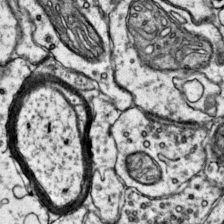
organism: Mouse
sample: Primary visual cortex